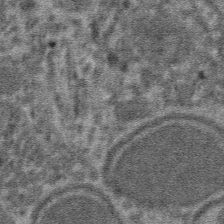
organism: Mouse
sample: Mouse hepatocytes